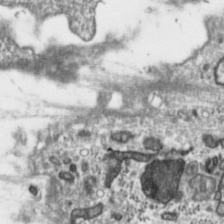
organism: Toxoplasma gondii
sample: Parasites in a vacuole inside a host cell